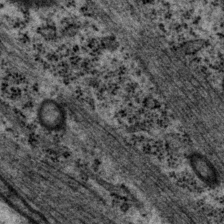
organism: P. pacificus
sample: Pharynx